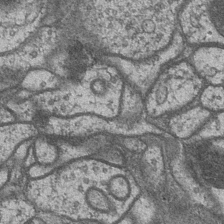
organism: Drosophila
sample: Optic medulla